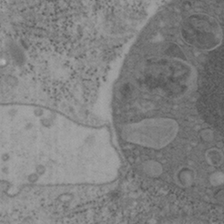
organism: Mouse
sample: OT-I killer T cells with ID8 ovarian cancer cells